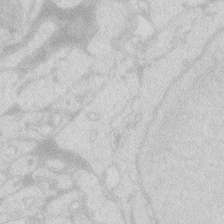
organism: Zebrafish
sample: Macrophage